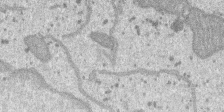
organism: Human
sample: Lung epithelial cells infected with SARS-CoV-2